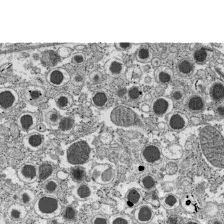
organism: C57BL Mouse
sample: Pancreatic islet